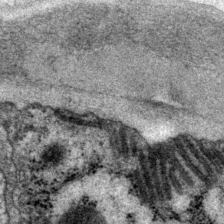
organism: P. pacificus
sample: Pharynx